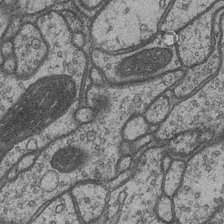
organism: Drosophila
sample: Optic medulla